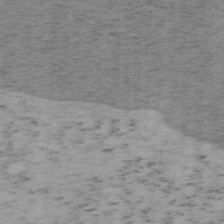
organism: Mouse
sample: OT-I killer T cells with ID8 ovarian cancer cells